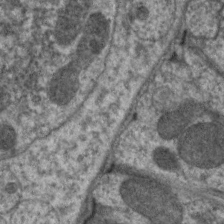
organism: C. elegans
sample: Pharynx